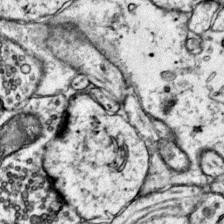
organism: Mouse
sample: Primary visual cortex